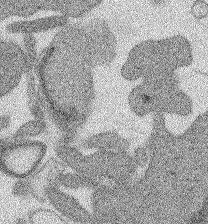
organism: Human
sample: HeLa cells